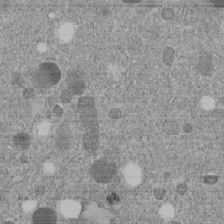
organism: C. elegans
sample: C. elegans embryo early stage